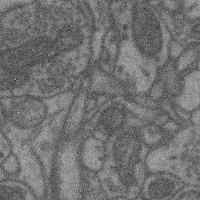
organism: Mouse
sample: Cerebral cortex